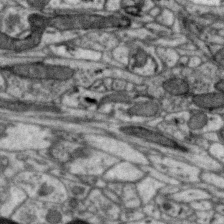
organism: Zebra finch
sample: Brain